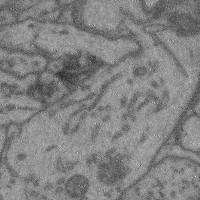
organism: Mouse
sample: Cerebral cortex